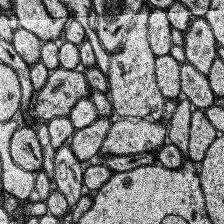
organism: Human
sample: Temporal Lobe